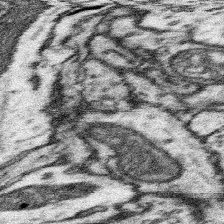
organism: Mouse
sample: Somatosensory cortex neuropil